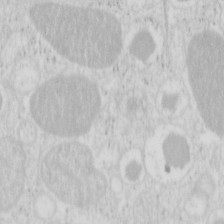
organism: Mouse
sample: Pancreas